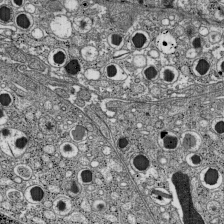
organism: C57BL Mouse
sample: Pancreatic islet